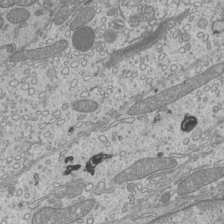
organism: Mouse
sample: Cilia; mouse epididymis